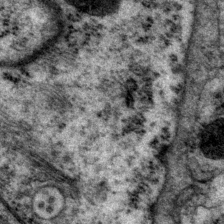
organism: P. pacificus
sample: Pharynx